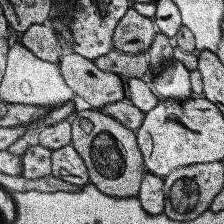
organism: Human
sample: Temporal Lobe